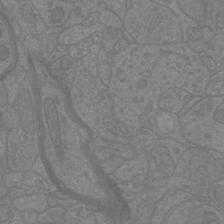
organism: Mouse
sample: Cortical neurons